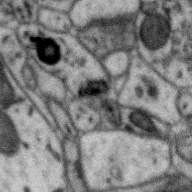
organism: Zebra finch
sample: Brain